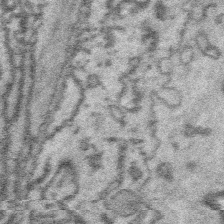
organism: Platynereis dumerilii